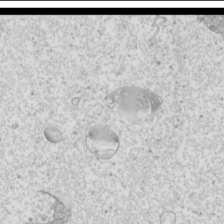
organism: Mouse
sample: Cilia; mouse epididymis